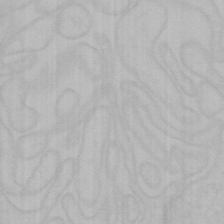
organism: Mouse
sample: Choroid plexus